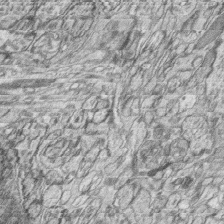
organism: Zebrafish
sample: synaptic ribbons in rod cells and cone cells